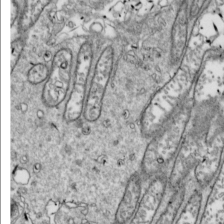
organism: Drosophila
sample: Cell division; meiosis; drosophila spermatocytes